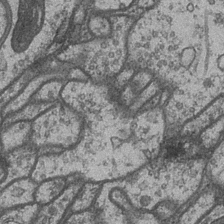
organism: Drosophila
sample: Optic medulla